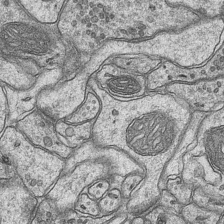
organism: Mouse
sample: CA1 Hippocampus